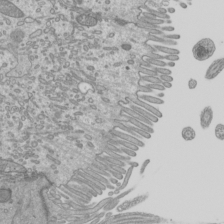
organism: Mouse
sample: Cilia; mouse epididymis